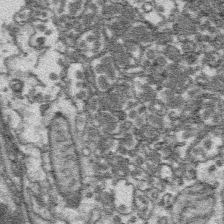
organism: Platynereis dumerilii